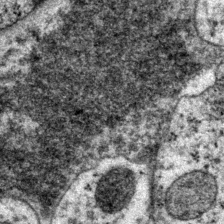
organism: P. pacificus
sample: Pharynx